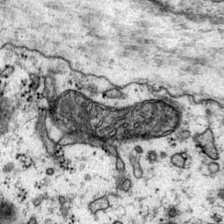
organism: Mouse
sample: Primary visual cortex